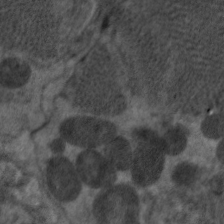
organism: C. elegans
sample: Pharynx